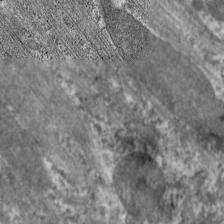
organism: C. elegans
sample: Pharynx